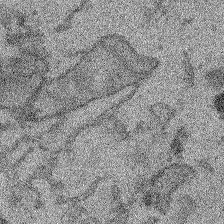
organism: Human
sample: HeLa cells